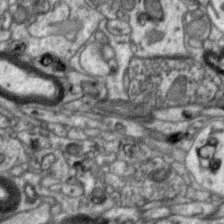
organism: Zebra finch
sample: Brain